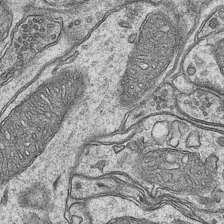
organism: Mouse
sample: CA1 Hippocampus